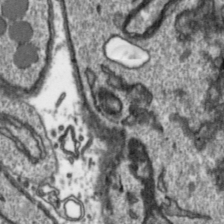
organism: Toxoplasma gondii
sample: Parasites in a vacuole inside a host cell